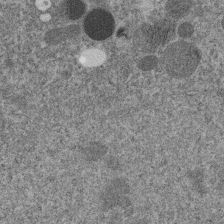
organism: C. elegans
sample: C. elegans embryo early stage